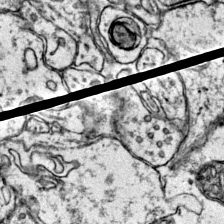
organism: Mouse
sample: Primary visual cortex